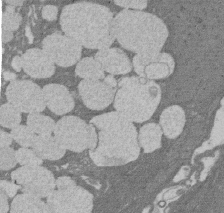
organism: Rat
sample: Salivary granule